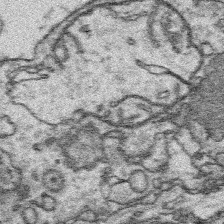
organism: Platynereis dumerilii